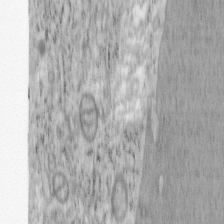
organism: Human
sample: HeLa cells